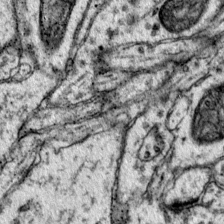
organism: Mouse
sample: Primary visual cortex